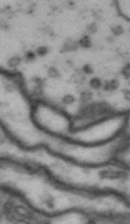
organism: Drosophila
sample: Brain